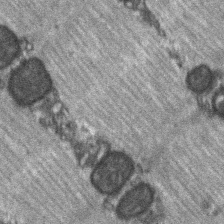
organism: C57BL Mouse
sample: Soleus